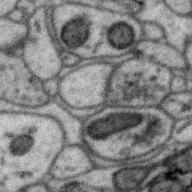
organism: Zebra finch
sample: Brain